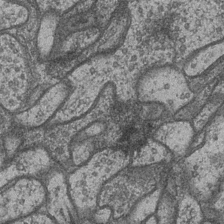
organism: Drosophila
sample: Optic medulla